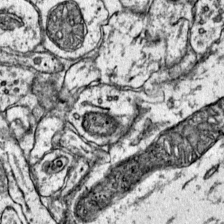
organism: Mouse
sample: Primary visual cortex